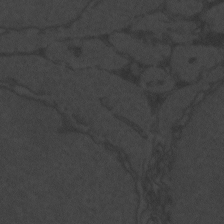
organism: Zebrafish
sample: Macrophage infected with Toxoplasma gondii